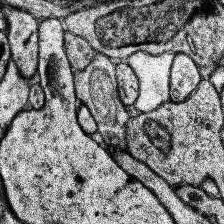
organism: Human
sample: Temporal Lobe